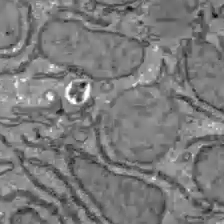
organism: C57BL Mouse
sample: Liver